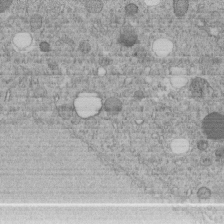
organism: C. elegans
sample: C. elegans embryo early stage